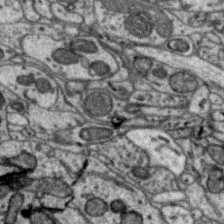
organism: Zebra finch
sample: Brain